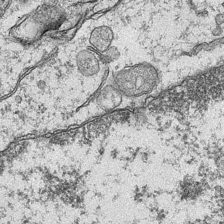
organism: Mouse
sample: CA1 Hippocampus